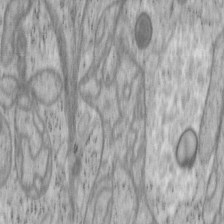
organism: Human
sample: HeLa cells